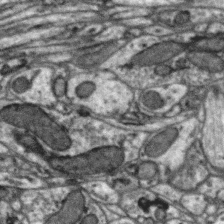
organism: Zebra finch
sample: Brain